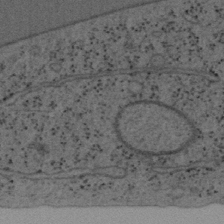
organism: Human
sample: HeLa cells